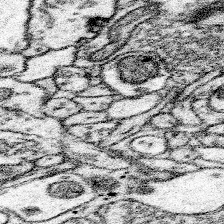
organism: Mouse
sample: Somatosensory cortex neuropil